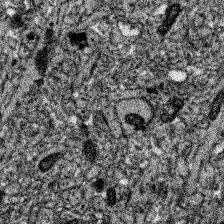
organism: Zebrafish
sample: Larval olfactory bulb